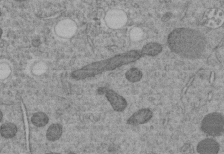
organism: C. elegans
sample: C. elegans embryo early stage